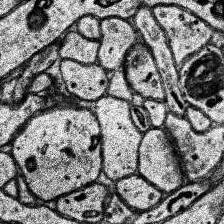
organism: Human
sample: Temporal Lobe